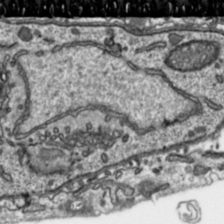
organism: Toxoplasma gondii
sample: Parasites in a vacuole inside a host cell